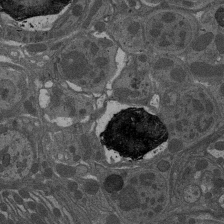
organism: Drosophila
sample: Antenna